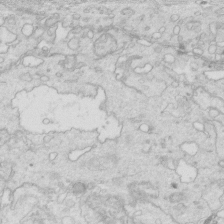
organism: Mouse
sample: Multiciliated cells